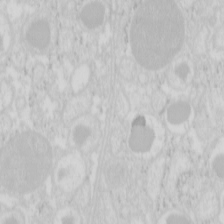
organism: Mouse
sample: Pancreas